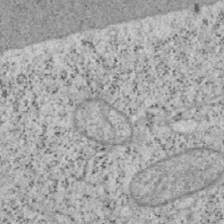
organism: Mouse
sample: OT-I killer T cells with ID8 ovarian cancer cells